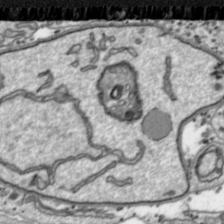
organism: Toxoplasma gondii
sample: Parasites in a vacuole inside a host cell